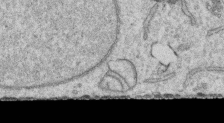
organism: Human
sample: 1205lu cells